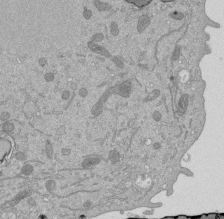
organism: Mouse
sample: ED-1 cell nuclei; centrioles